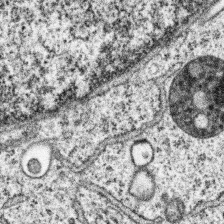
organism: Human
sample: HeLa cells